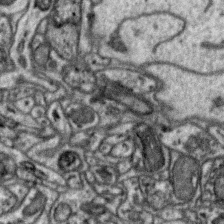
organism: Zebra finch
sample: Brain